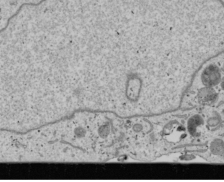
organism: Human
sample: Mitochondria in U2OS cells